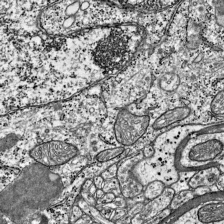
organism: Mouse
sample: Visual Cortex